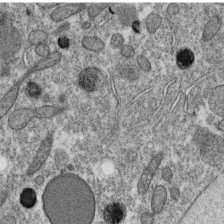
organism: C. elegans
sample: C. elegans oocyte; sperm cells